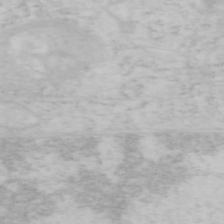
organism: Mouse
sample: OT-I killer T cells with ID8 ovarian cancer cells